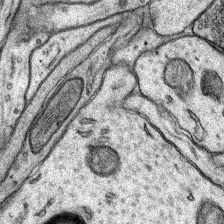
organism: Rat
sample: Hippocampus